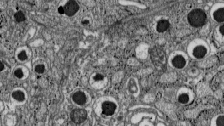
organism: C57BL Mouse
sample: Pancreatic islet